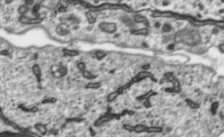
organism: Toxoplasma gondii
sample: Parasites in a vacuole inside a host cell